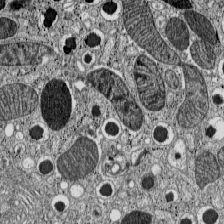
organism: C57BL Mouse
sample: Pancreatic islet